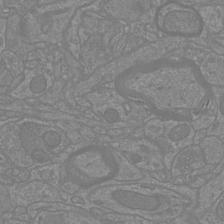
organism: Mouse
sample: Cortical neurons